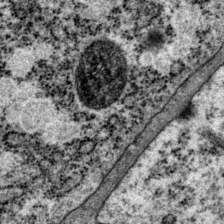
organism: P. pacificus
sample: Pharynx